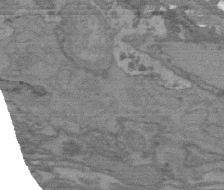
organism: C. elegans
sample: AFD neurons C. elegans